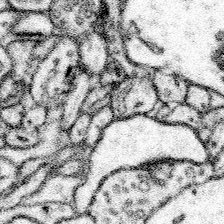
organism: Mouse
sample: Somatosensory cortex neuropil